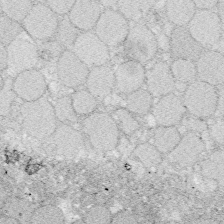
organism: Zebrafish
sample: Whole-Brain